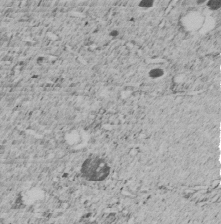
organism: C. elegans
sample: C. elegans embryo early stage